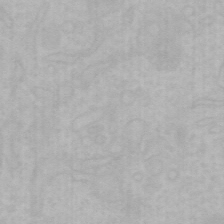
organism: Mouse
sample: Choroid plexus